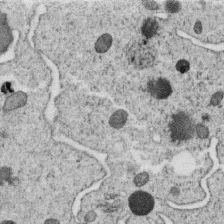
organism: C. elegans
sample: C. elegans oocyte; sperm cells